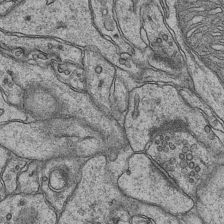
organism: Mouse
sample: CA1 Hippocampus